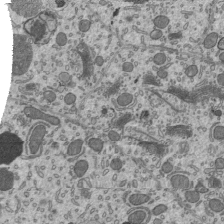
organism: Mouse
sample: Mouse epididymis efferent ductule cilia